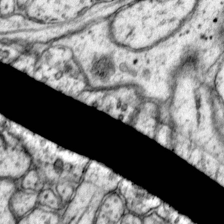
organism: Mouse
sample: Primary visual cortex